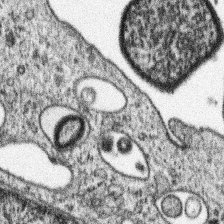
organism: Human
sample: HeLa cells